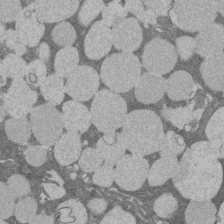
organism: Rat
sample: Salivary granule